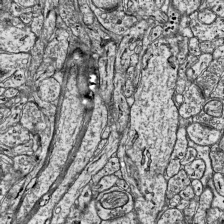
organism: Mouse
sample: Visual Cortex